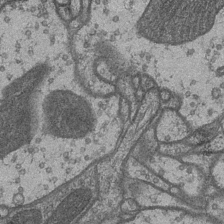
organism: Drosophila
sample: Optic medulla